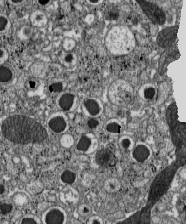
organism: C57BL Mouse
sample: Pancreatic islet